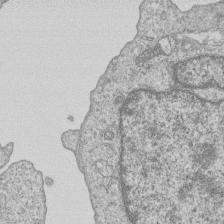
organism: Human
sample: MDA-MB-231 cells